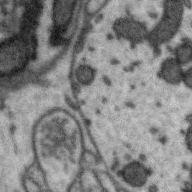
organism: Zebra finch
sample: Brain